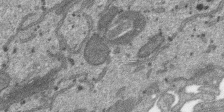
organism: Human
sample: Lung epithelial cells infected with SARS-CoV-2